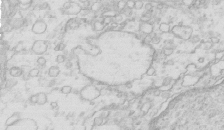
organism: Mouse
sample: Multiciliated cells